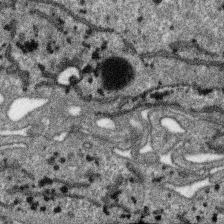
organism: Human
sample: Lung epithelial cells infected with SARS-CoV-2